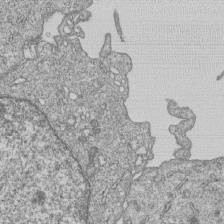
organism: Human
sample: MDA-MB-231 cells